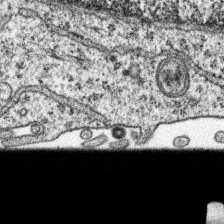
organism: Human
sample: HeLa cells